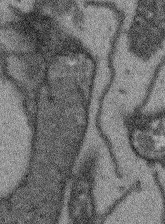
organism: Arabidopsis thaliana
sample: Root tip